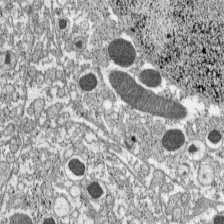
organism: C57BL Mouse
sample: Pancreatic islet